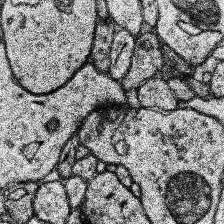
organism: Human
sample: Temporal Lobe